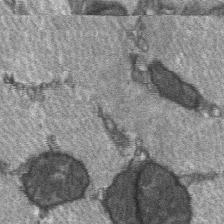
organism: C57BL Mouse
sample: Soleus